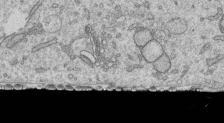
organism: Human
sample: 1205lu cells